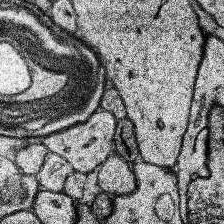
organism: Human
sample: Temporal Lobe